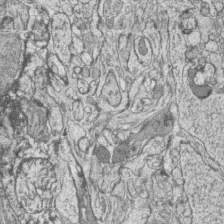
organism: Zebrafish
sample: synaptic ribbons in rod cells and cone cells